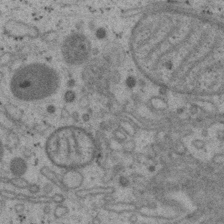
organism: Human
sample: HeLa cells